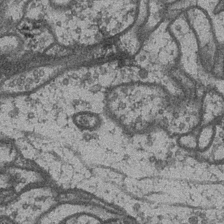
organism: Drosophila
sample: Optic medulla